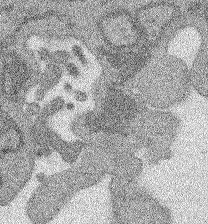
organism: Human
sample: HeLa cells